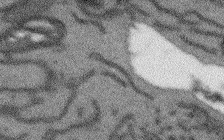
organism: Arabidopsis thaliana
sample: Root tip